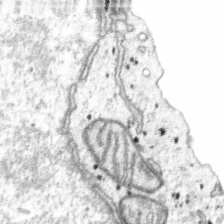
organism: Human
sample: HeLa cells